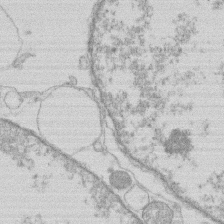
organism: Human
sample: Macrophage cells